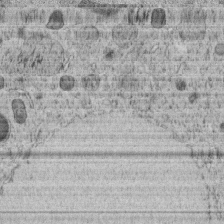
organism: C. elegans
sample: C. elegans embryo early stage